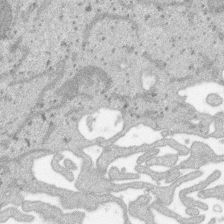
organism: Human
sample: Lung epithelial cells infected with SARS-CoV-2